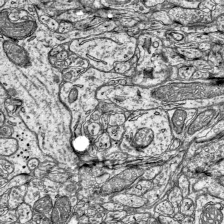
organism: Mouse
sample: Visual Cortex